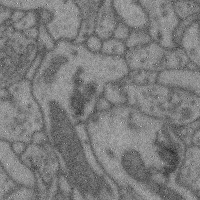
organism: Mouse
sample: Cerebral cortex